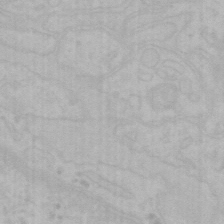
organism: Mouse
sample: Choroid plexus